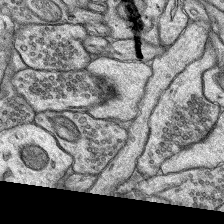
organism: Rat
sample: Hippocampus